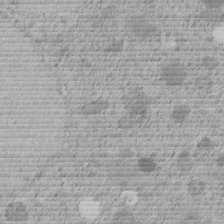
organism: C. elegans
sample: C. elegans embryo early stage